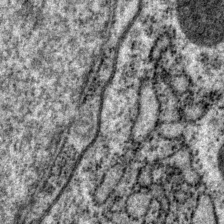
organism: P. pacificus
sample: Pharynx